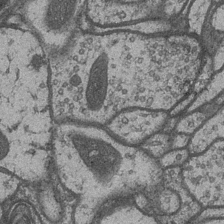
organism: Drosophila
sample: Optic medulla